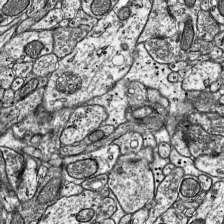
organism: Mouse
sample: Visual Cortex